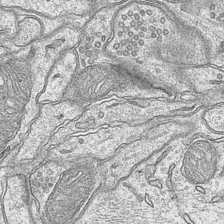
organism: Mouse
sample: CA1 Hippocampus